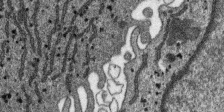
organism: Human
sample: Lung epithelial cells infected with SARS-CoV-2